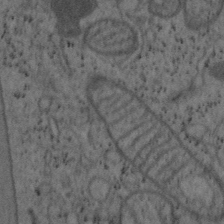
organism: Human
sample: HeLa cells